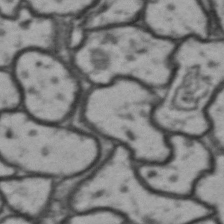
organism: Drosophila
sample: Brain